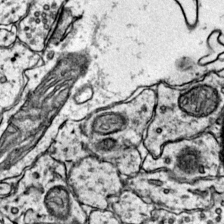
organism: Mouse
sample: Primary visual cortex